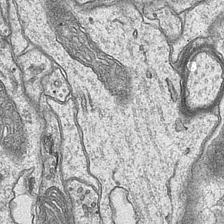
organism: Mouse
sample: CA1 Hippocampus